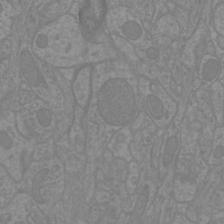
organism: Mouse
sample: Cortical neurons